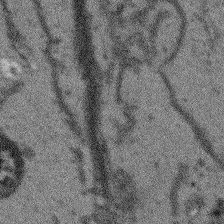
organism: Arabidopsis thaliana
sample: Root tip